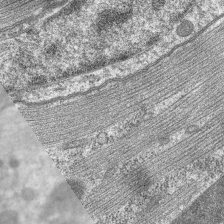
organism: C. elegans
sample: Pharynx